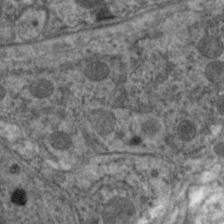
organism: C. elegans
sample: Pharynx